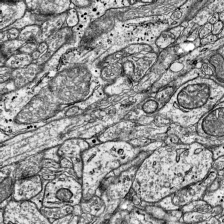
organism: Mouse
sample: Visual Cortex